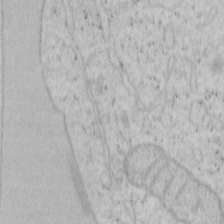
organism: Human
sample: HeLa cells